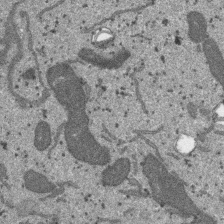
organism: Human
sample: Lung epithelial cells infected with SARS-CoV-2